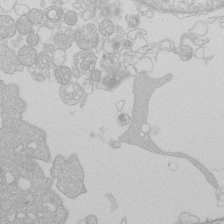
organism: Human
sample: Macrophage cells